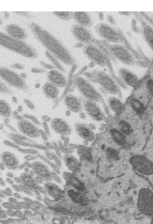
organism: Mouse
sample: Mouse epididymis efferent ductule cilia